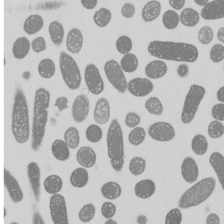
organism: E. coli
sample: Bacterial nucleoid